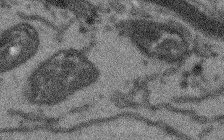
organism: Arabidopsis thaliana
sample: Root tip